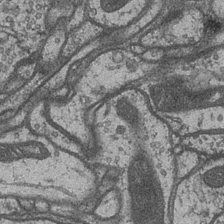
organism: Drosophila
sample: Optic medulla